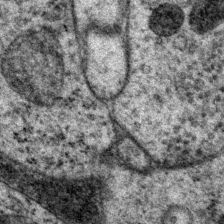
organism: P. pacificus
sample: Pharynx